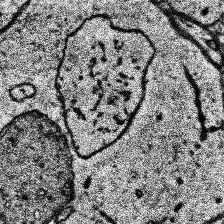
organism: Human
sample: Temporal Lobe